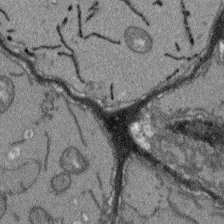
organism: Arabidopsis thaliana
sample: Root tip